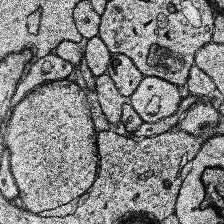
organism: Human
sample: Temporal Lobe